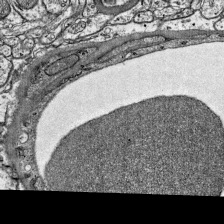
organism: Mouse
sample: Visual Cortex